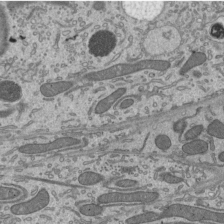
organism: Mouse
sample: Mouse epididymis efferent ductule cilia